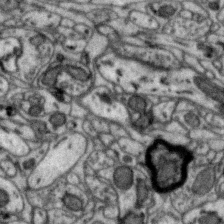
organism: Zebra finch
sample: Brain